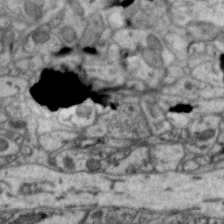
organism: Zebra finch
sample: Brain